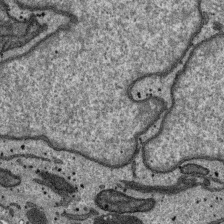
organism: Human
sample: Lung epithelial cells, uninfected (mock) control